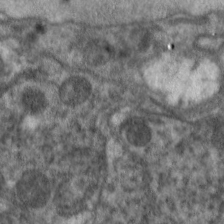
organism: C. elegans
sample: Pharynx